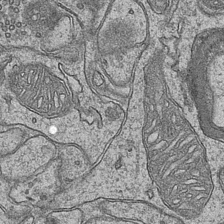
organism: Mouse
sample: CA1 Hippocampus